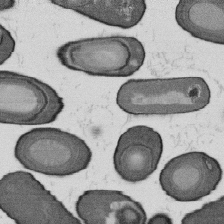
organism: B. subtilis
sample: Bacterial spore